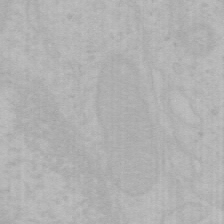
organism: Mouse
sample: Choroid plexus